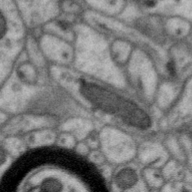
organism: Zebra finch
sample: Brain